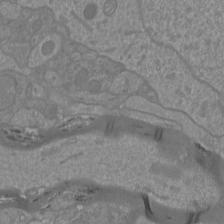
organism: Mouse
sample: Cortical neurons